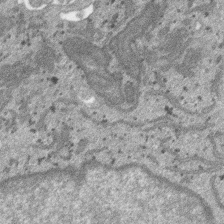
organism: Human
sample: Lung epithelial cells infected with SARS-CoV-2